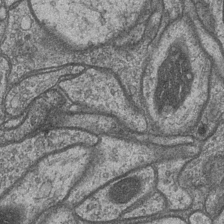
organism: Drosophila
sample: Optic medulla